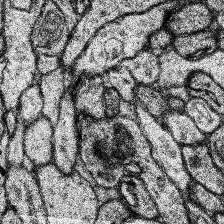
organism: Human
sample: Temporal Lobe